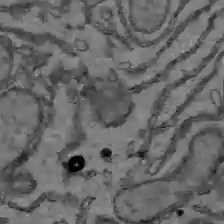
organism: C57BL Mouse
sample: Liver